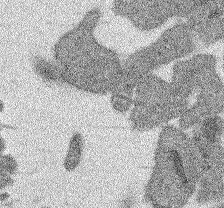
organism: Human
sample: HeLa cells